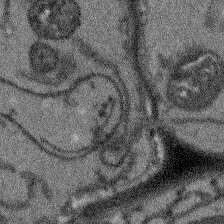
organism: Arabidopsis thaliana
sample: Root tip